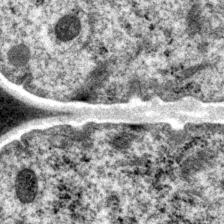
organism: P. pacificus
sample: Pharynx